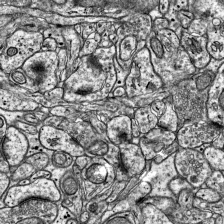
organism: Mouse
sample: Visual Cortex